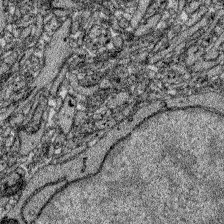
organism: Zebrafish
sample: Larval olfactory bulb